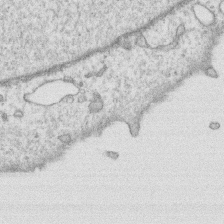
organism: Human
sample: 1205lu cells